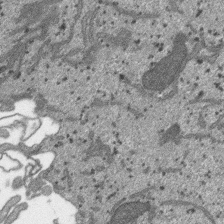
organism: Human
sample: Lung epithelial cells infected with SARS-CoV-2